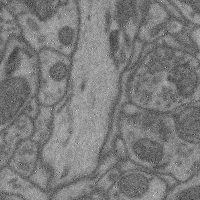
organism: Mouse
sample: Cerebral cortex